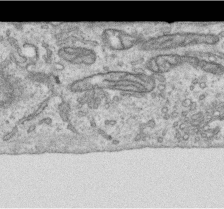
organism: Human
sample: Centriole in RPE cells